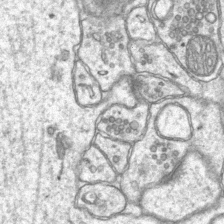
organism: Mouse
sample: CA1 Hippocampus